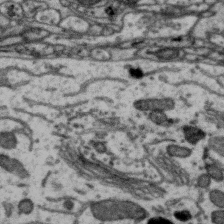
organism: Zebra finch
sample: Brain